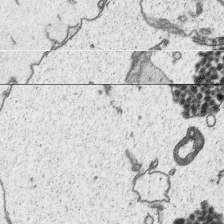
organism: Platynereis dumerilii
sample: Parapodia